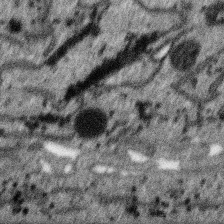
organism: Human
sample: Lung epithelial cells infected with SARS-CoV-2